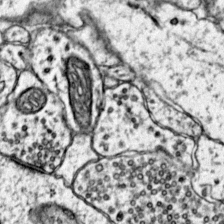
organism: Mouse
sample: Primary visual cortex